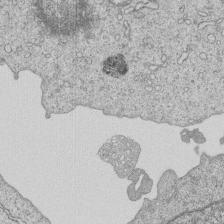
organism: Human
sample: MDA-MB-231 cells